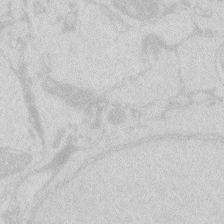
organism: Zebrafish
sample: Macrophage